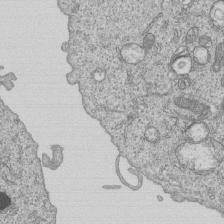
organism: Human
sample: MDA-MB-231 cells